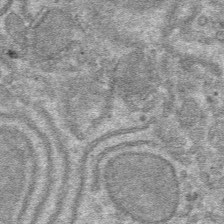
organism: Mouse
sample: Mouse hepatocytes